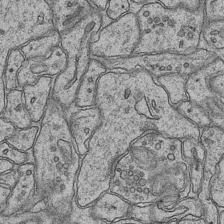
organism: Mouse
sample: CA1 Hippocampus